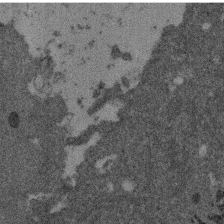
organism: Mouse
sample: Dividing mouse embryo 1 cell stage